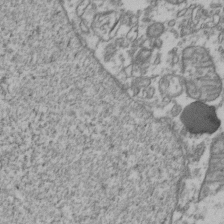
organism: Human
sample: Activated Jurkat CD4+ T cells